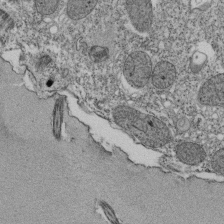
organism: Tetrahymena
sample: Cilia in tetrahymena